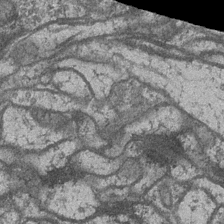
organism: Drosophila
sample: Optic medulla